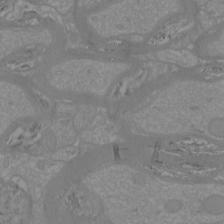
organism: Mouse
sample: Cortical neurons